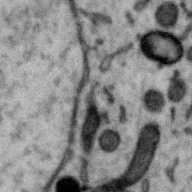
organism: Zebra finch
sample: Brain